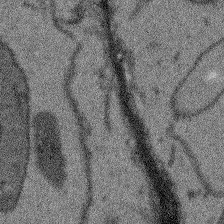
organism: Arabidopsis thaliana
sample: Root tip